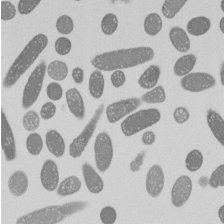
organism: E. coli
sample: Bacterial nucleoid